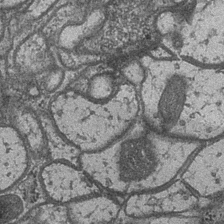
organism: Drosophila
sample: Optic medulla